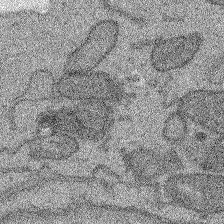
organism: Human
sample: HeLa cells